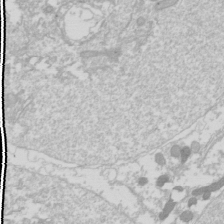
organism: Drosophila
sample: Cell division; meiosis; drosophila spermatocytes